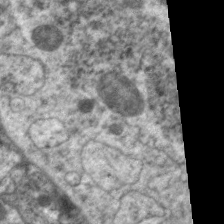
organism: C. elegans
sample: Pharynx